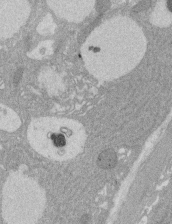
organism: Rat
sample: Salivary granule